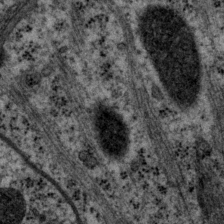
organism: P. pacificus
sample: Pharynx